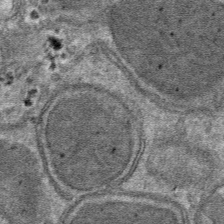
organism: Mouse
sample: Mouse hepatocytes